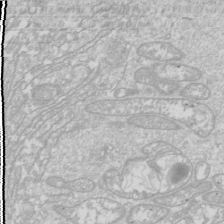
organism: Drosophila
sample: Cell division; meiosis; drosophila spermatocytes